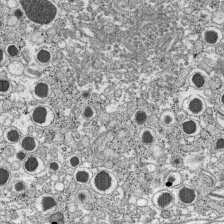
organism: C57BL Mouse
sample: Pancreatic islet